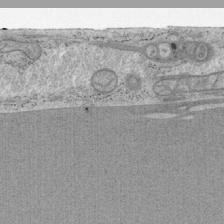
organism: Human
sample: HeLa cells